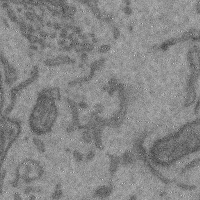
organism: Mouse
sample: Cerebral cortex